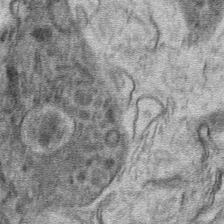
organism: Mouse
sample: Mouse hepatocytes